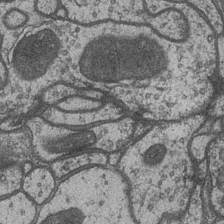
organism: Drosophila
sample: Optic medulla